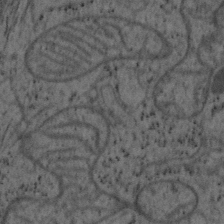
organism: Human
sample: HeLa cells